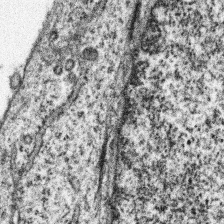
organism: Human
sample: HeLa cells